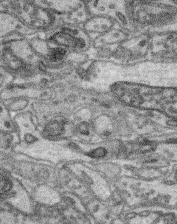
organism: Mouse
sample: Retina